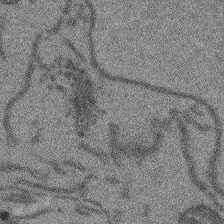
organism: Arabidopsis thaliana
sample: Root tip